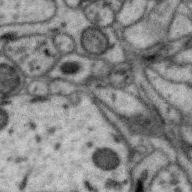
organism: Zebra finch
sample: Brain